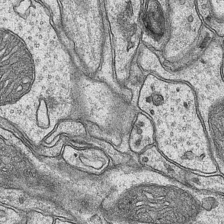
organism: Mouse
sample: CA1 Hippocampus